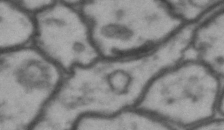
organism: Drosophila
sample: Brain